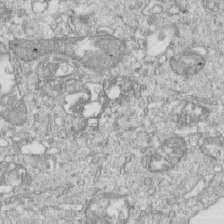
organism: Mouse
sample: Activated OT-1 CD8+ T cells